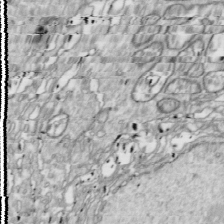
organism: Drosophila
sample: Cell division; meiosis; drosophila spermatocytes